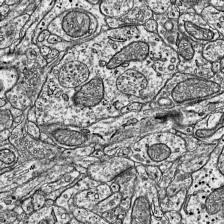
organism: Mouse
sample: Visual Cortex